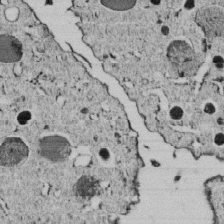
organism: C. elegans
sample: C. elegans embryo early stage